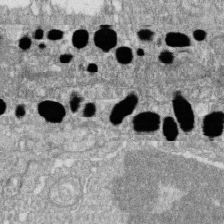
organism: Zebrafish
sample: Cilia; retinal pigment epithelium